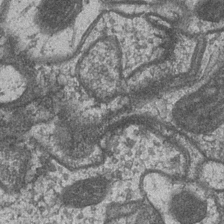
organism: Drosophila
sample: Optic medulla